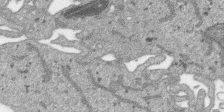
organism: Human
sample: Lung epithelial cells infected with SARS-CoV-2